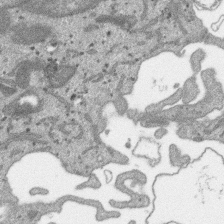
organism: Human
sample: Lung epithelial cells infected with SARS-CoV-2